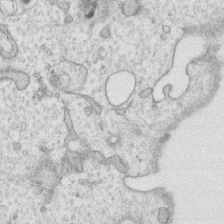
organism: Human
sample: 1205lu cells